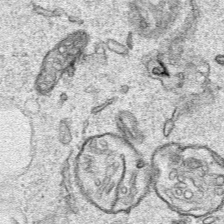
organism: Human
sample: Mitochondria in HCT116 cells